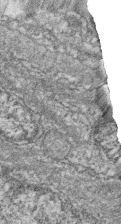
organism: Zebrafish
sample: Cilia; retinal pigment epithelium